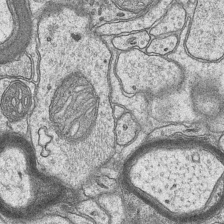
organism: Mouse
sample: CA1 Hippocampus